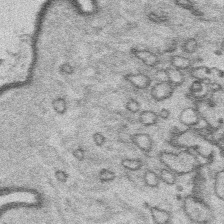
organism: Platynereis dumerilii